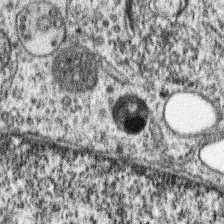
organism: Human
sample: HeLa cells